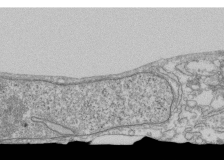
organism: Human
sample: Fibroblast cells